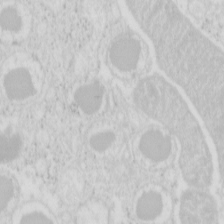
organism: Mouse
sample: Pancreas